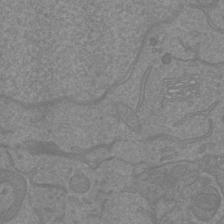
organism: Mouse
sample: Cortical neurons